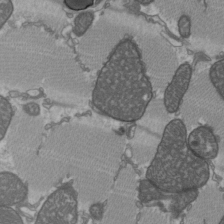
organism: C57BL Mouse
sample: Heart